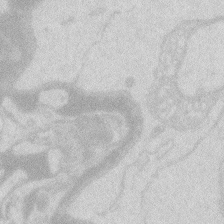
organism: Zebrafish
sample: Macrophage